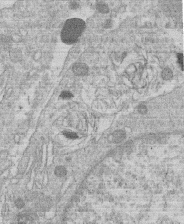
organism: Human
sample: Macrophage cells